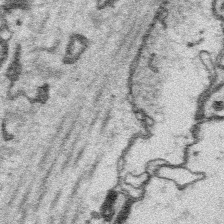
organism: Platynereis dumerilii